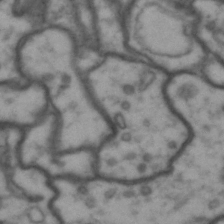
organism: Drosophila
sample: Brain